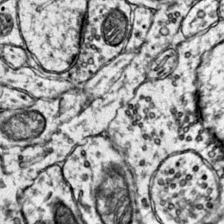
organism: Mouse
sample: Primary visual cortex